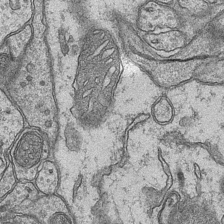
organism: Mouse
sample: CA1 Hippocampus